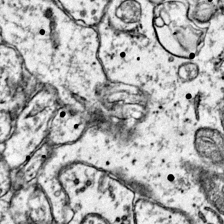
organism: Mouse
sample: Primary visual cortex